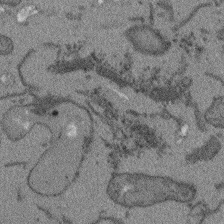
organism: Arabidopsis thaliana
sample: Root tip